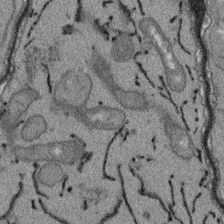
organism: Arabidopsis thaliana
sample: Root tip